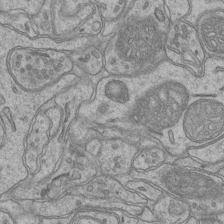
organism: Mouse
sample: CA1 Hippocampus